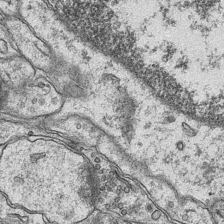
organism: Mouse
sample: CA1 Hippocampus